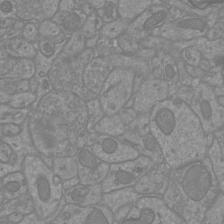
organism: Mouse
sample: Cortical neurons